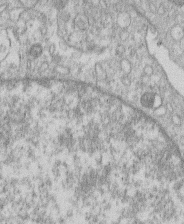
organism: Human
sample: Macrophage cells